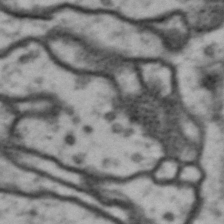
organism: Drosophila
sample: Brain